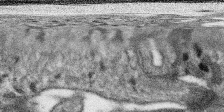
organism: Human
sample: Lung epithelial cells infected with SARS-CoV-2